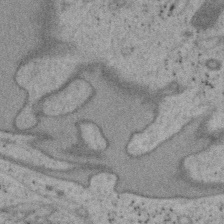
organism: Human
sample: HeLa cells